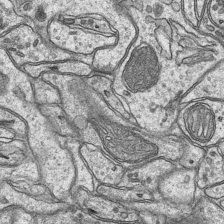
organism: Mouse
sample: CA1 Hippocampus